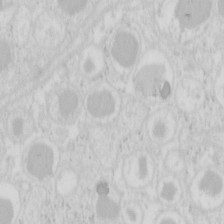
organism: Mouse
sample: Pancreas